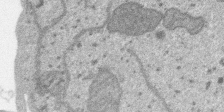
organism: Human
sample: Lung epithelial cells infected with SARS-CoV-2